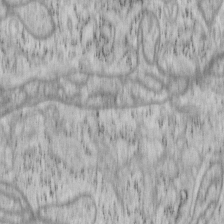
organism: Human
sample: HeLa cells